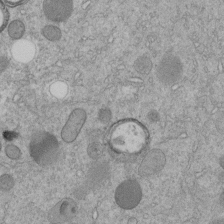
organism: C. elegans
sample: C. elegans embryo early stage